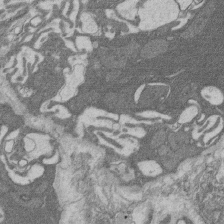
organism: Rat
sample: Salivary granule